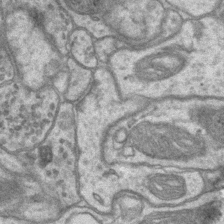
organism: Mouse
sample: CA1 Hippocampus